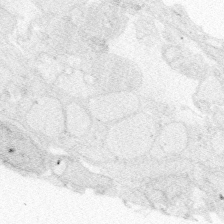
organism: Zebrafish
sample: Whole-Brain